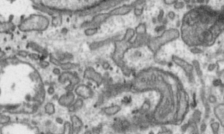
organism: Toxoplasma gondii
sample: Parasites in a vacuole inside a host cell